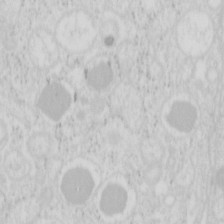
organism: Mouse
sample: Pancreas